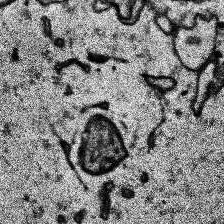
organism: Human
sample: Temporal Lobe